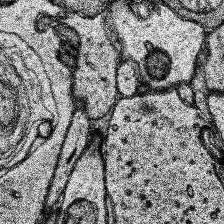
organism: Human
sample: Temporal Lobe